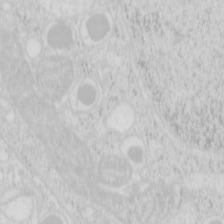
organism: Mouse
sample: Pancreas